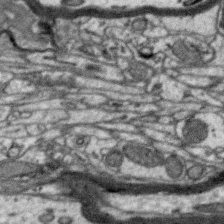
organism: Zebra finch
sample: Brain